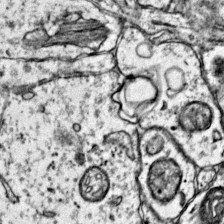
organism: Mouse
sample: Primary visual cortex